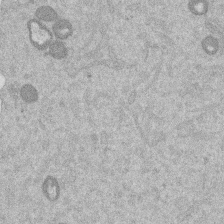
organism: Mouse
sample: Dividing mouse embryo 1 cell stage